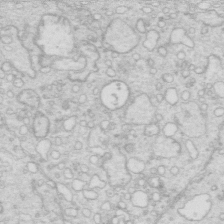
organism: Mouse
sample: Multiciliated cells